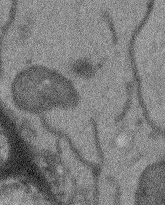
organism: Arabidopsis thaliana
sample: Root tip